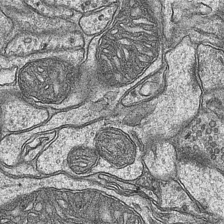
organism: Mouse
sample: CA1 Hippocampus